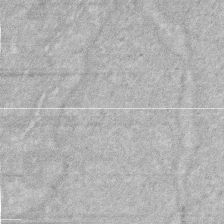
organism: Human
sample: HIV infected U937 cells